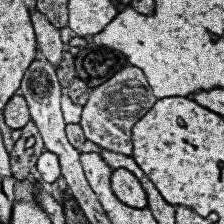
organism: Human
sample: Temporal Lobe